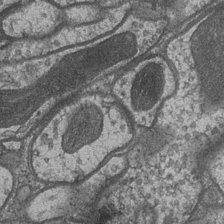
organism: Drosophila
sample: Optic medulla